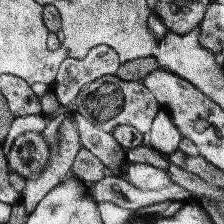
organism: Human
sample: Temporal Lobe